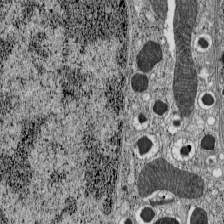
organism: C57BL Mouse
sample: Pancreatic islet